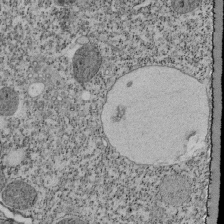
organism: Tetrahymena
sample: Cilia in tetrahymena